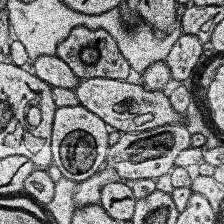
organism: Human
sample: Temporal Lobe